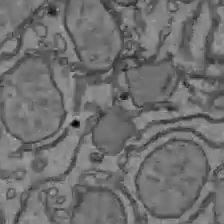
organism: C57BL Mouse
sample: Liver